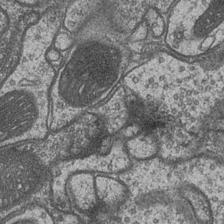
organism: Drosophila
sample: Optic medulla